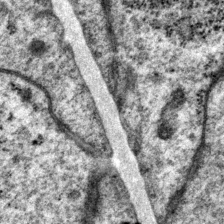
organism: P. pacificus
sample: Pharynx